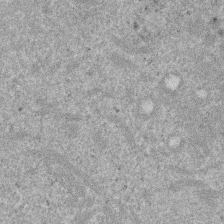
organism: Mouse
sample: Dividing mouse embryo 1 cell stage